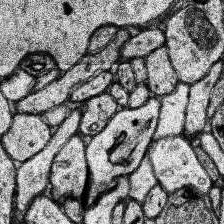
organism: Human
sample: Temporal Lobe